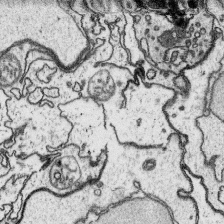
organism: Platynereis dumerilii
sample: Parapodia